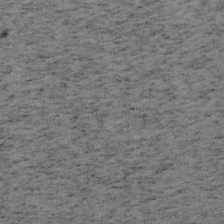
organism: Mouse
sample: OT-I killer T cells with ID8 ovarian cancer cells